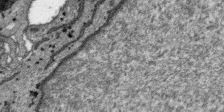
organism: Human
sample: Lung epithelial cells, uninfected (mock) control